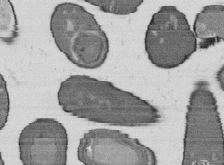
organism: B. subtilis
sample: Bacterial spore